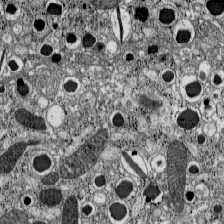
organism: C57BL Mouse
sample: Pancreatic islet